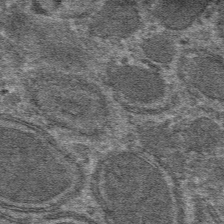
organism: Mouse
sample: Mouse hepatocytes